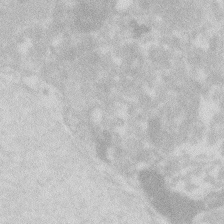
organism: Zebrafish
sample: Macrophage